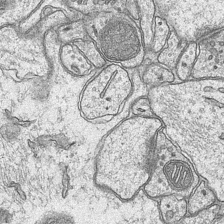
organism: Mouse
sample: CA1 Hippocampus